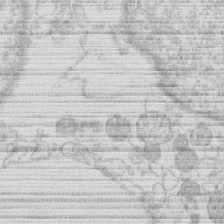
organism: Human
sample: Macrophage cells